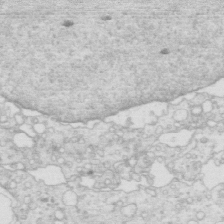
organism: Mouse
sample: Multiciliated cells